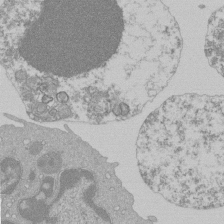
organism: Mouse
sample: Activated Pmel transgenic CD8+ T Cells